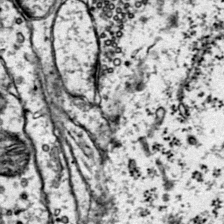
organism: Mouse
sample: Primary visual cortex